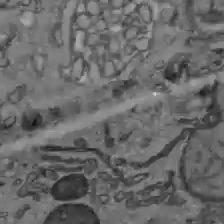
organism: C57BL Mouse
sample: Liver